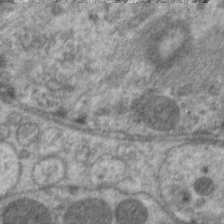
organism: C. elegans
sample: Pharynx